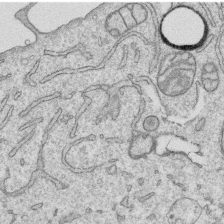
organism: Human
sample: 1205lu cells